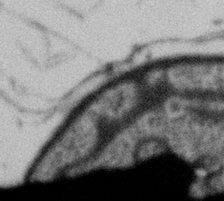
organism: Gemmata obscuriglobus